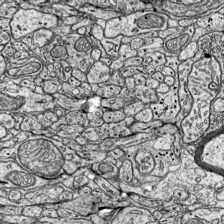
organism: Mouse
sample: Visual Cortex